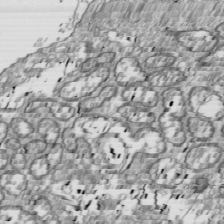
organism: Drosophila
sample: Cell division; meiosis; drosophila spermatocytes